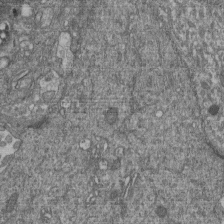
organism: Human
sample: Retinal organoid Rod and Cone cells